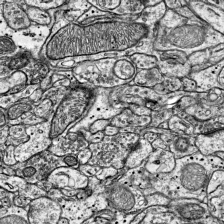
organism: Mouse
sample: Visual Cortex